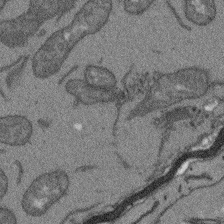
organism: Arabidopsis thaliana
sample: Root tip